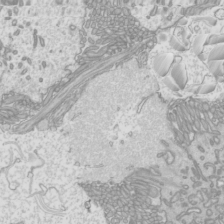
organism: Mouse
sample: Cilia; mouse epididymis